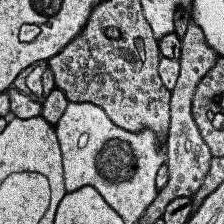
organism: Human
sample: Temporal Lobe